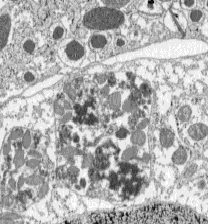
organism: C57BL Mouse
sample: Pancreatic islet